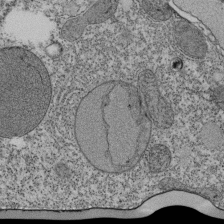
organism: Tetrahymena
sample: Cilia in tetrahymena